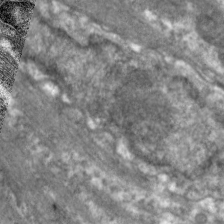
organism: C. elegans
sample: Pharynx